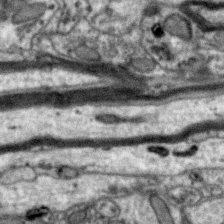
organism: Zebra finch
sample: Brain